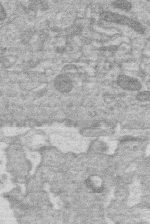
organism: Human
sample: Macrophage cells